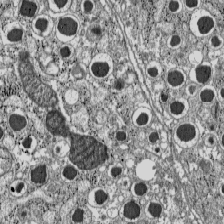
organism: C57BL Mouse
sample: Pancreatic islet